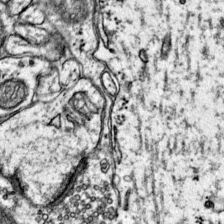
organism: Mouse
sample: Primary visual cortex